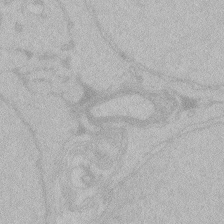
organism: Zebrafish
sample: Macrophage infected with Toxoplasma gondii